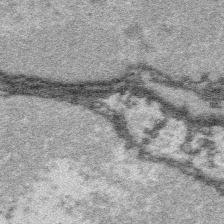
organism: Platynereis dumerilii